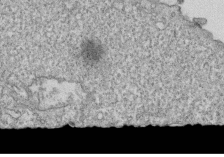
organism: Human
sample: HeLa cell HIV synapse